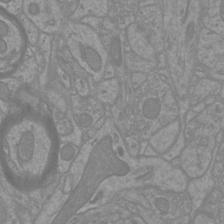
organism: Mouse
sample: Cortical neurons